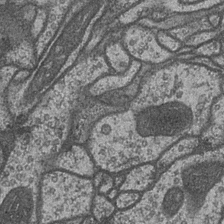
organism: Drosophila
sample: Optic medulla